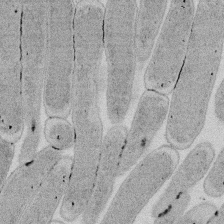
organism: E. coli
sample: Bacterial nucleoid